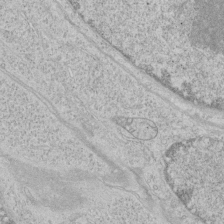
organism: Human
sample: Mitochondria in HCT116 cells